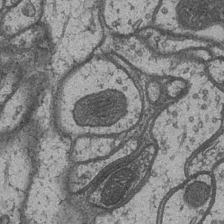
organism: Drosophila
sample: Optic medulla